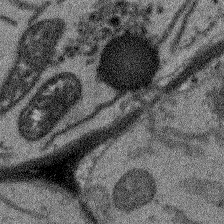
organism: Arabidopsis thaliana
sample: Root tip